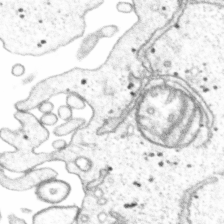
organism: Human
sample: HeLa cells